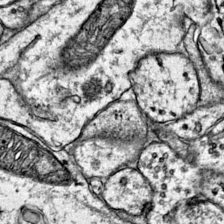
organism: Mouse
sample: Primary visual cortex